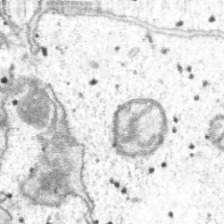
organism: Human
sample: HeLa cells